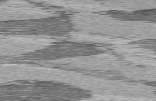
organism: C57BL Mouse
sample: Heart